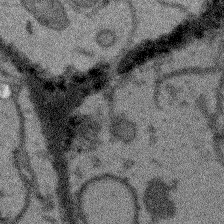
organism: Arabidopsis thaliana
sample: Root tip